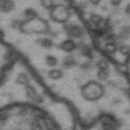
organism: Drosophila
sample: Brain